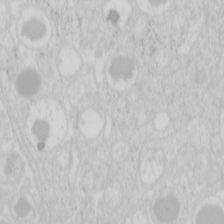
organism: Mouse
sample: Pancreas